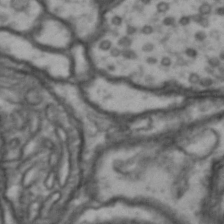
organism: Drosophila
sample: Brain